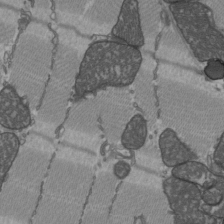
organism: C57BL Mouse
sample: Heart